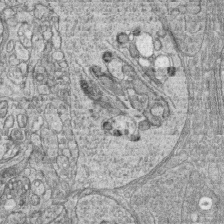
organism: Zebrafish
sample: synaptic ribbons in rod cells and cone cells